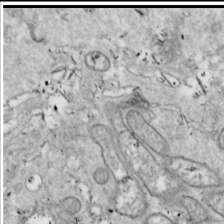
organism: Drosophila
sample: Cell division; meiosis; drosophila spermatocytes